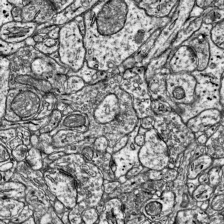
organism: Mouse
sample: Visual Cortex